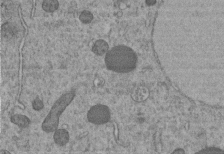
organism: C. elegans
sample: C. elegans embryo early stage